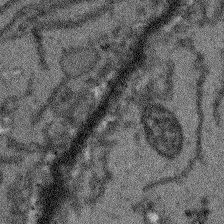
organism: Arabidopsis thaliana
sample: Root tip